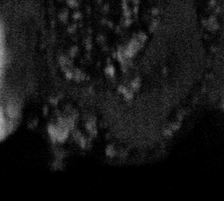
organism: Gemmata obscuriglobus